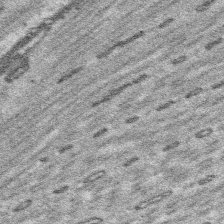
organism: Platynereis dumerilii